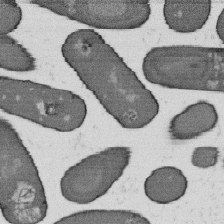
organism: B. subtilis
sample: Bacterial spore